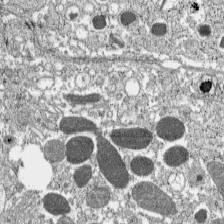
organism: C57BL Mouse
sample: Pancreatic islet